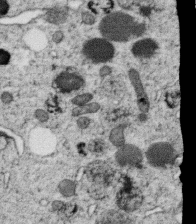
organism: C. elegans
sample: C. elegans oocyte; sperm cells